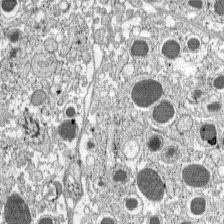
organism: C57BL Mouse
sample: Pancreatic islet